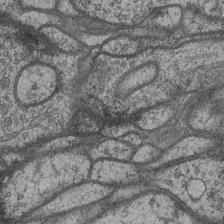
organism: Drosophila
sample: Optic medulla